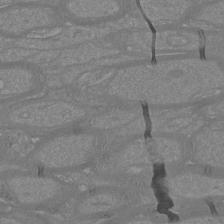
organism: Mouse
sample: Cortical neurons